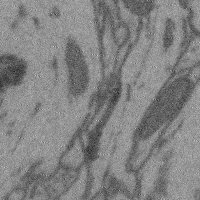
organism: Mouse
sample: Cerebral cortex